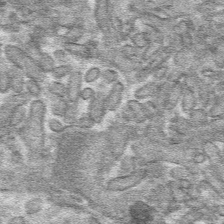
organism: Mouse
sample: Mouse hepatocytes